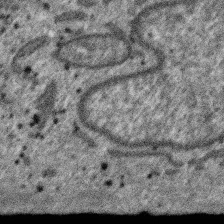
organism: Human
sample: Lung epithelial cells infected with SARS-CoV-2